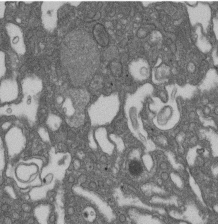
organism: Drosophila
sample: Nephrocyte